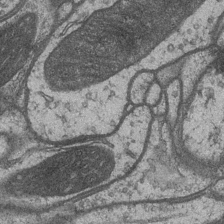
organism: Drosophila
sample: Optic medulla